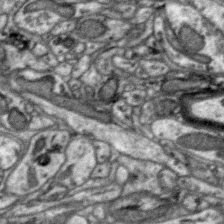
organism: Zebra finch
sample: Brain